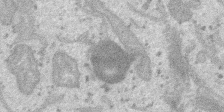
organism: Human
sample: Lung epithelial cells infected with SARS-CoV-2